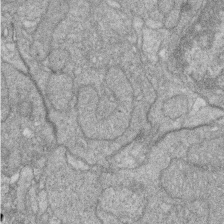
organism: Zebrafish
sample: Cilia; retinal pigment epithelium